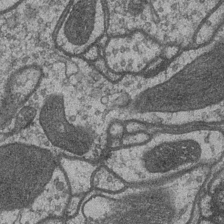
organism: Drosophila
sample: Optic medulla